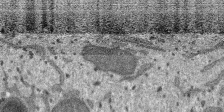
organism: Human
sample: Lung epithelial cells infected with SARS-CoV-2